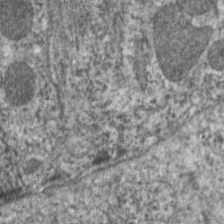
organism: C. elegans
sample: Pharynx